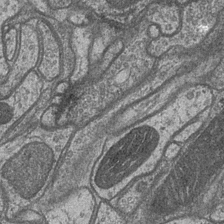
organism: Drosophila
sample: Optic medulla